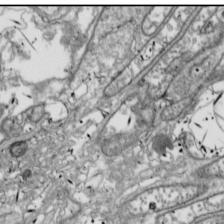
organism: Drosophila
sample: Cell division; meiosis; drosophila spermatocytes